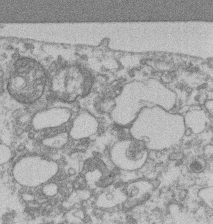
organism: Mouse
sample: T cell stromal cell synapse